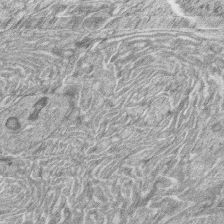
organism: Zebrafish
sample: synaptic ribbons in rod cells and cone cells